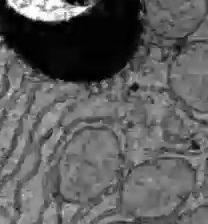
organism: C57BL Mouse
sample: Liver